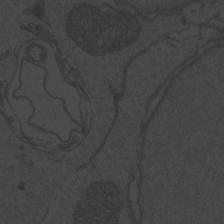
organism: Zebrafish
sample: Macrophage infected with Toxoplasma gondii